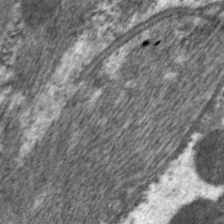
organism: C. elegans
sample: Pharynx